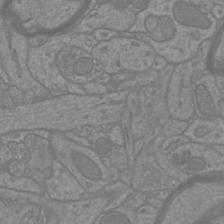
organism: Mouse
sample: Cortical neurons